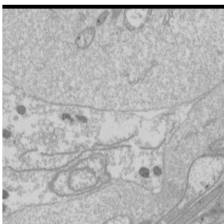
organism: Drosophila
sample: Cell division; meiosis; drosophila spermatocytes